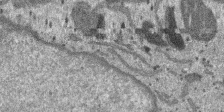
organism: Human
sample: Lung epithelial cells infected with SARS-CoV-2